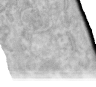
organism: Human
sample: Centriole in RPE cells